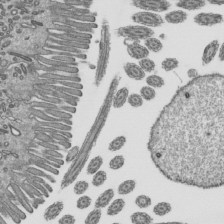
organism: Mouse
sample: Mouse epididymis efferent ductule cilia